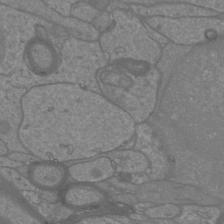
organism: Mouse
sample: Cortical neurons